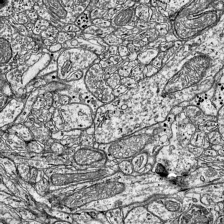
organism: Mouse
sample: Visual Cortex